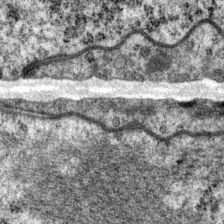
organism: P. pacificus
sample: Pharynx